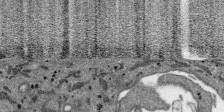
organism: Human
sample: Lung epithelial cells, uninfected (mock) control